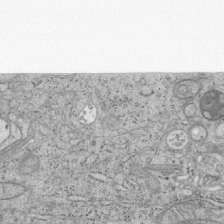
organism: Human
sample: HeLa cells